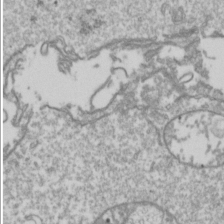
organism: Drosophila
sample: Cell division; meiosis; drosophila spermatocytes